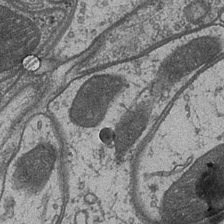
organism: Drosophila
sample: Optic medulla